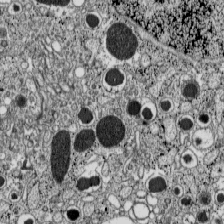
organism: C57BL Mouse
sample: Pancreatic islet